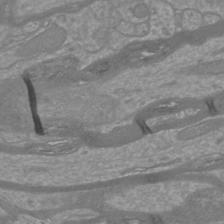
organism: Mouse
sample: Cortical neurons